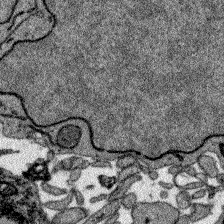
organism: Zebrafish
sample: Larval olfactory bulb